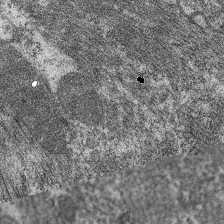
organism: C. elegans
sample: Pharynx